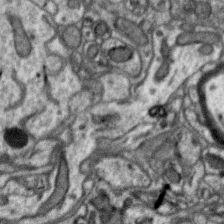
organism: Zebra finch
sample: Brain